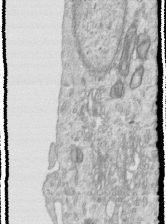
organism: Human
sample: Centriole in RPE cells